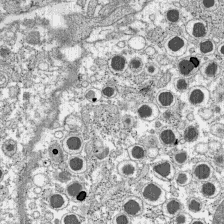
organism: C57BL Mouse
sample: Pancreatic islet